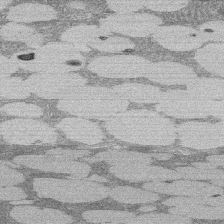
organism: Rat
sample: Salivary granule